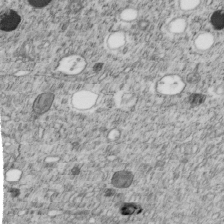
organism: C. elegans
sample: C. elegans embryo early stage